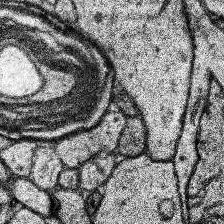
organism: Human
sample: Temporal Lobe